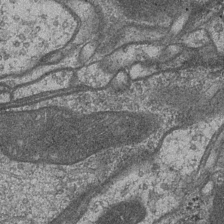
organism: Drosophila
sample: Optic medulla